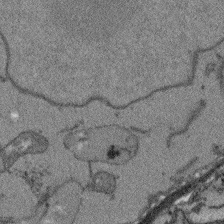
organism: Arabidopsis thaliana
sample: Root tip